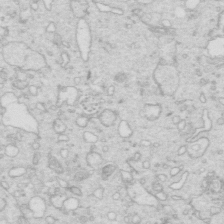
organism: Mouse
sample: Multiciliated cells